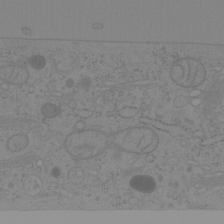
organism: Human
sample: HeLa cells